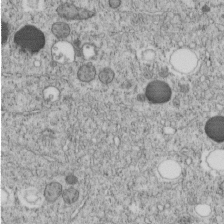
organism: C. elegans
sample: C. elegans embryo early stage